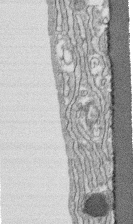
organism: Human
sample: CRL-1474